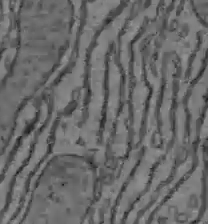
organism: C57BL Mouse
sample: Liver